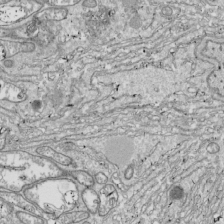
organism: Drosophila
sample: Cell division; meiosis; drosophila spermatocytes